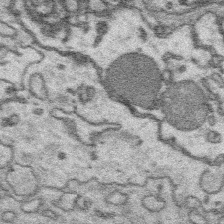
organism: Platynereis dumerilii